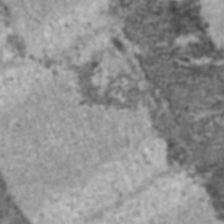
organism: C57BL Mouse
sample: Heart